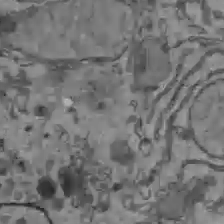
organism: C57BL Mouse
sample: Liver